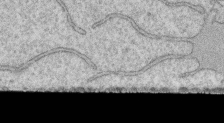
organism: Human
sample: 1205lu cells